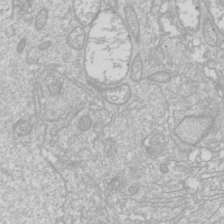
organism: Drosophila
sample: Cell division; meiosis; drosophila spermatocytes